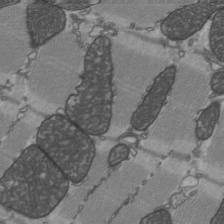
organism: C57BL Mouse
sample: Heart